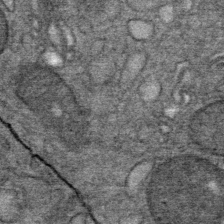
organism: Mouse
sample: Mouse Salivary gland